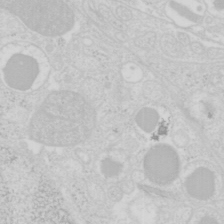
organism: Mouse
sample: Pancreas